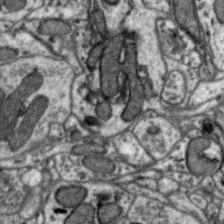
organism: Zebra finch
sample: Brain